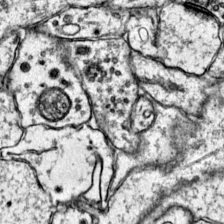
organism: Mouse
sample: Primary visual cortex